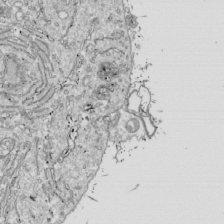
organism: Drosophila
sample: Cell division; meiosis; drosophila spermatocytes